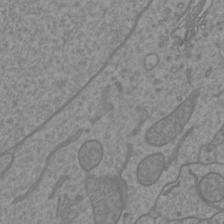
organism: Mouse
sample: Cortical neurons